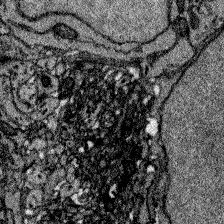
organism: Zebrafish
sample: Larval olfactory bulb